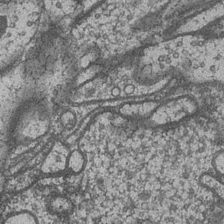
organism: Drosophila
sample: Optic medulla